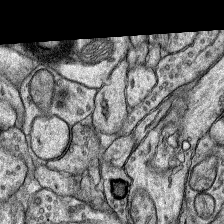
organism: Rat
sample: Hippocampus